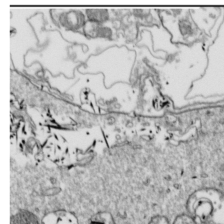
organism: Drosophila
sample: Cell division; meiosis; drosophila spermatocytes